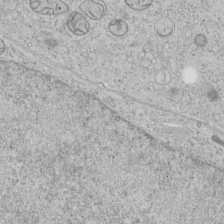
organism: Human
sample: Mitochondria in HCT116 cells